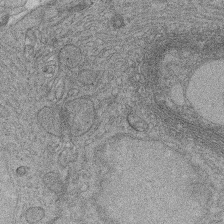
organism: Rat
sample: Salivary granule